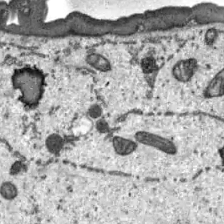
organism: Human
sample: HeLa cells